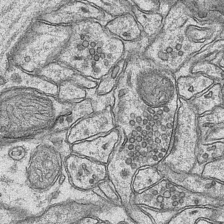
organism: Mouse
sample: CA1 Hippocampus